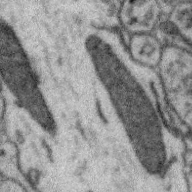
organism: Zebra finch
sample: Brain